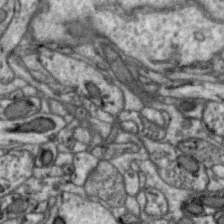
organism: Zebra finch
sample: Brain